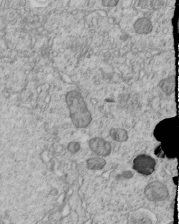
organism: C. elegans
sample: C. elegans embryo early stage